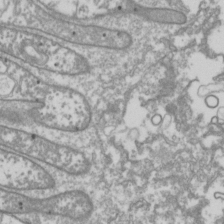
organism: Drosophila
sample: Cell division; meiosis; drosophila spermatocytes